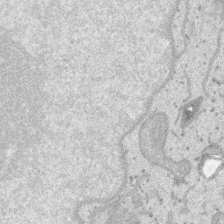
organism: Human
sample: Lung epithelial cells infected with SARS-CoV-2